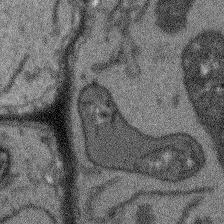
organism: Arabidopsis thaliana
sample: Root tip